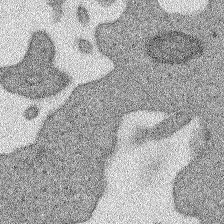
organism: Human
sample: HeLa cells